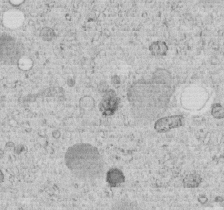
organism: C. elegans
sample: C. elegans embryo early stage